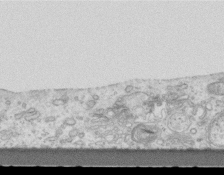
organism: Mouse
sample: Centriole in ependymal cells